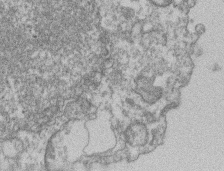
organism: Mouse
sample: T cell stromal cell synapse